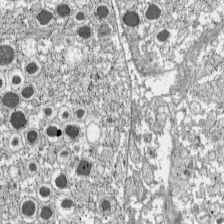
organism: C57BL Mouse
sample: Pancreatic islet